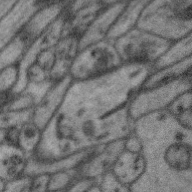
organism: Zebra finch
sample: Brain